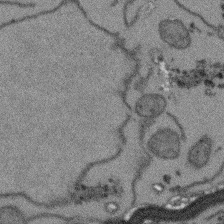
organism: Arabidopsis thaliana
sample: Root tip